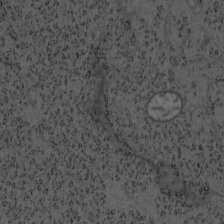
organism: Mouse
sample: OT-I killer T cells with ID8 ovarian cancer cells